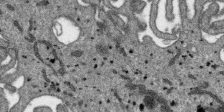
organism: Human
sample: Lung epithelial cells, uninfected (mock) control